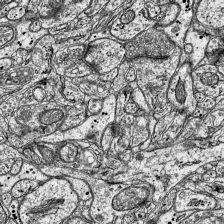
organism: Mouse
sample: Visual Cortex